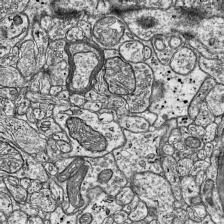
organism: Mouse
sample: Visual Cortex